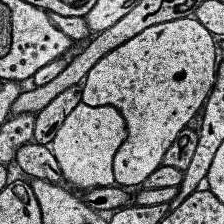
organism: Human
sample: Temporal Lobe